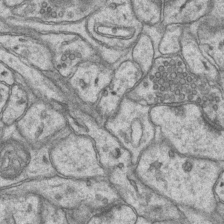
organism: Mouse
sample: CA1 Hippocampus